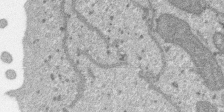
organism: Human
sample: Lung epithelial cells infected with SARS-CoV-2